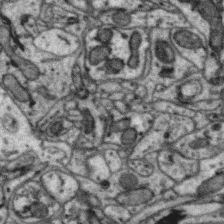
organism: Zebra finch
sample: Brain